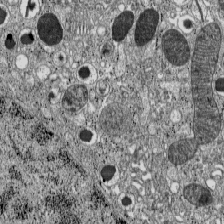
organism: C57BL Mouse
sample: Pancreatic islet